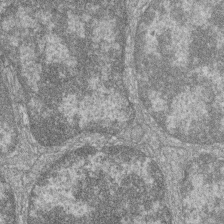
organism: Zebrafish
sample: Cilia; retinal pigment epithelium